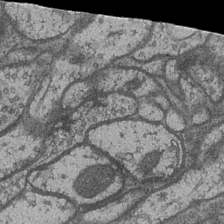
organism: Drosophila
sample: Optic medulla